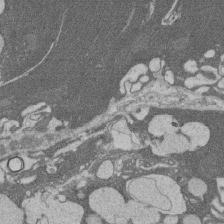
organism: Rat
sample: Salivary granule